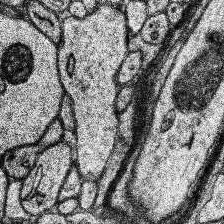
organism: Human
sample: Temporal Lobe